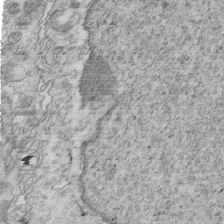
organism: Mouse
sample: Multiciliated cells